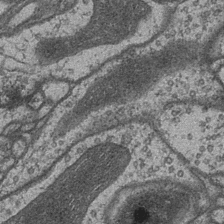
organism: Drosophila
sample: Optic medulla